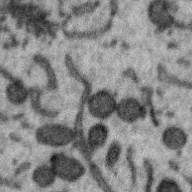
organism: Zebra finch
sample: Brain